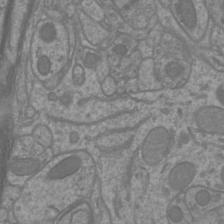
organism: Mouse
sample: Cortical neurons